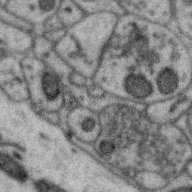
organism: Zebra finch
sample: Brain